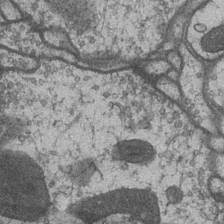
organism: Drosophila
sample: Optic medulla